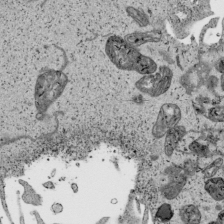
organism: Human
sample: Mitochondria in HCT116 cells